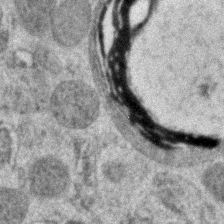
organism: Zebrafish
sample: Zebrafish embryo